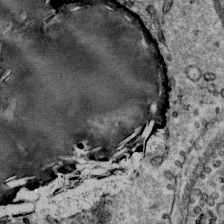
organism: Mouse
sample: Mouse Salivary gland